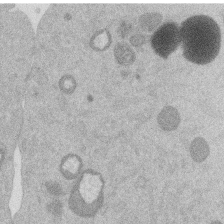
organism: Mouse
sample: Dividing mouse embryo 1 cell stage